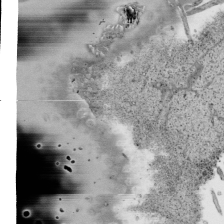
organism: Human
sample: Mitochondria in HCT116 cells